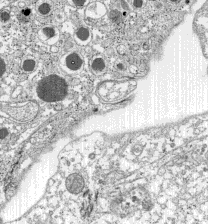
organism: C57BL Mouse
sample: Pancreatic islet